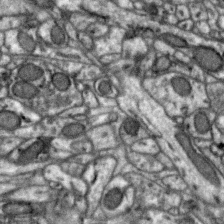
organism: Zebra finch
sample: Brain